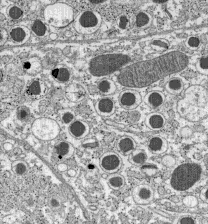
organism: C57BL Mouse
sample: Pancreatic islet